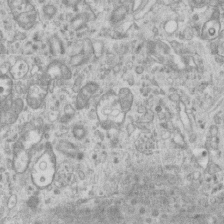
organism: Mouse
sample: Centriole in ependymal cells